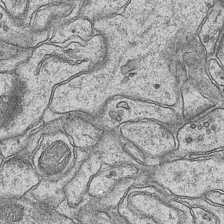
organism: Mouse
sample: CA1 Hippocampus